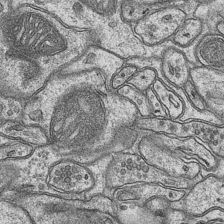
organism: Mouse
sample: CA1 Hippocampus